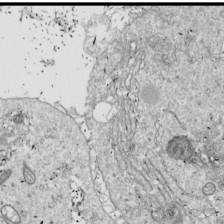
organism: Drosophila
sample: Cell division; meiosis; drosophila spermatocytes